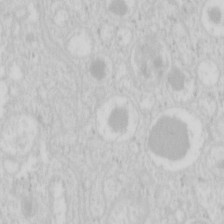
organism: Mouse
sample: Pancreas